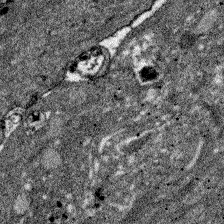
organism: Zebrafish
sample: Larval olfactory bulb